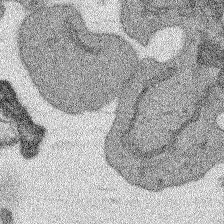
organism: Human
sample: HeLa cells